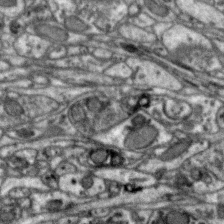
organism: Zebra finch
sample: Brain